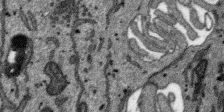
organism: Human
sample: Lung epithelial cells, uninfected (mock) control